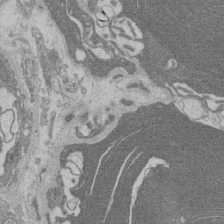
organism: Rat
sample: Salivary granule